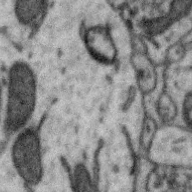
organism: Zebra finch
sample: Brain